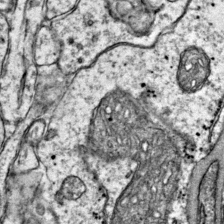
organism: Mouse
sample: Primary visual cortex